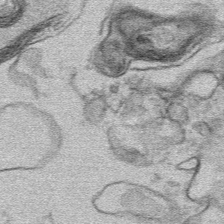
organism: Mouse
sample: Mouse hepatocytes